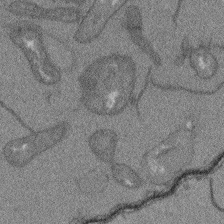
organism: Arabidopsis thaliana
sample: Root tip